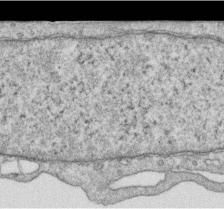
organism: Human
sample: Centriole in RPE cells